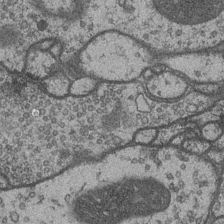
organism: Drosophila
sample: Optic medulla